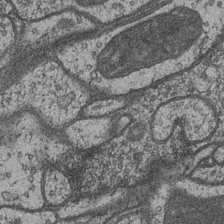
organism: Drosophila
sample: Optic medulla